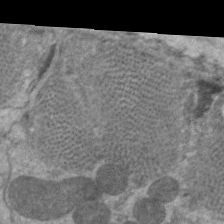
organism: C. elegans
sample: Pharynx